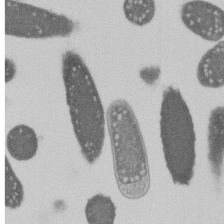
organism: E. coli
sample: Bacterial nucleoid